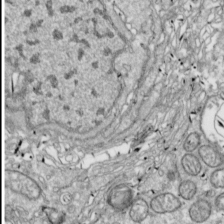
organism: Drosophila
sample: Cell division; meiosis; drosophila spermatocytes